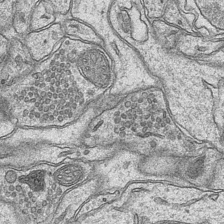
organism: Mouse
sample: CA1 Hippocampus